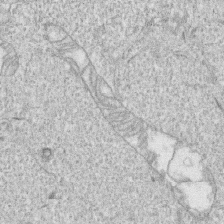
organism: Human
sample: HeLa cell HIV synapse